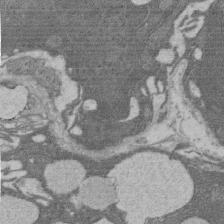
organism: Rat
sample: Salivary granule